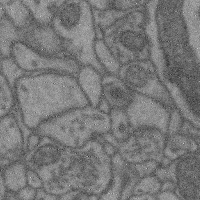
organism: Mouse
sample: Cerebral cortex